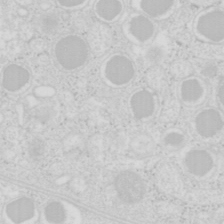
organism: Mouse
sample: Pancreas